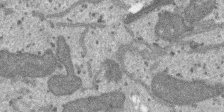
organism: Human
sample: Lung epithelial cells infected with SARS-CoV-2